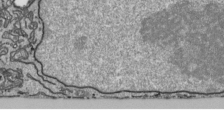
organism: Human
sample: Mitochondria in HCT116 cells